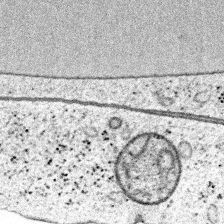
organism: Human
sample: HeLa cells